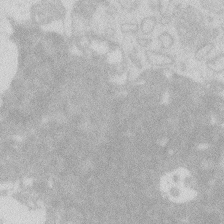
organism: Zebrafish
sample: Macrophage